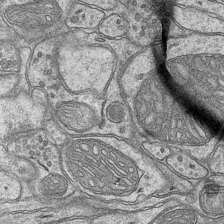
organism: Mouse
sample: CA1 Hippocampus